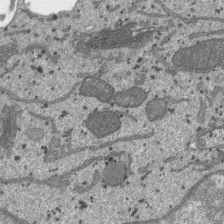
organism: Human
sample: Lung epithelial cells infected with SARS-CoV-2